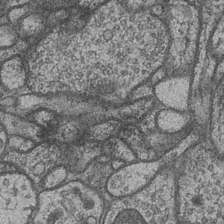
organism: Drosophila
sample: Optic medulla